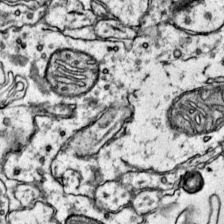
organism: Mouse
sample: Primary visual cortex